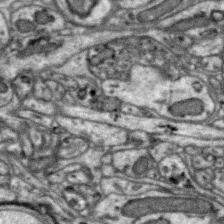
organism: Zebra finch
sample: Brain